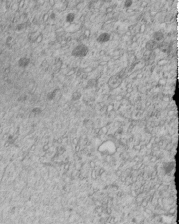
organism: C. elegans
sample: C. elegans embryo early stage